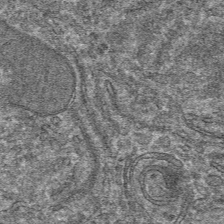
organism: Mouse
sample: Mouse hepatocytes